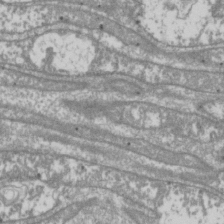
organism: Drosophila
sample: Cell division; meiosis; drosophila spermatocytes